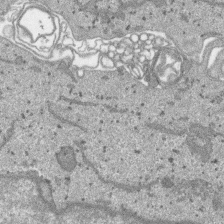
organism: Human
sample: Lung epithelial cells infected with SARS-CoV-2